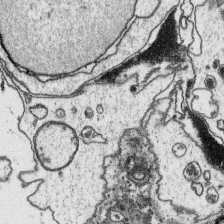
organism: Platynereis dumerilii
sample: Parapodia